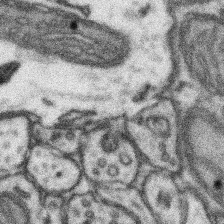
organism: Mouse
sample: Somatosensory cortex neuropil